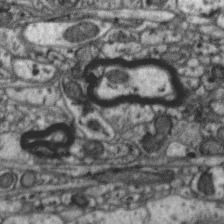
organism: Zebra finch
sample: Brain